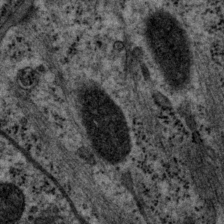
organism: P. pacificus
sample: Pharynx